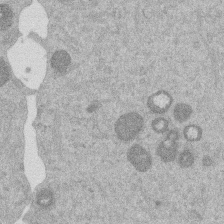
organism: Mouse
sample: Dividing mouse embryo 1 cell stage